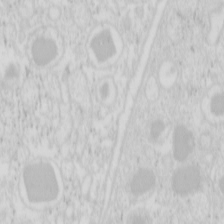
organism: Mouse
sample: Pancreas